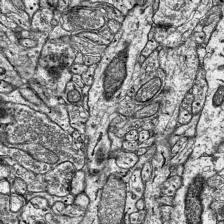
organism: Mouse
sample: Visual Cortex